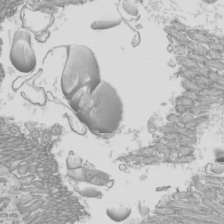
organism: Mouse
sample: Cilia; mouse epididymis